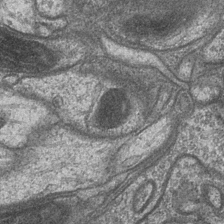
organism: Drosophila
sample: Optic medulla